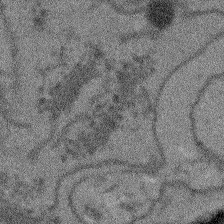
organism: Arabidopsis thaliana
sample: Root tip